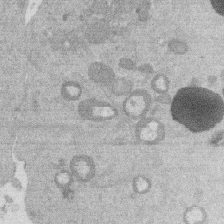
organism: Mouse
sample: Dividing mouse embryo 1 cell stage